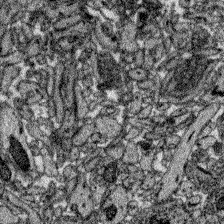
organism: Zebrafish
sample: Larval olfactory bulb